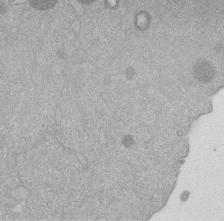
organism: Mouse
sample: Dividing mouse embryo 1 cell stage